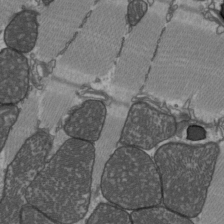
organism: C57BL Mouse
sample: Heart